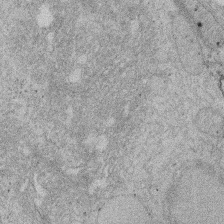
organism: Rat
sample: Salivary granule